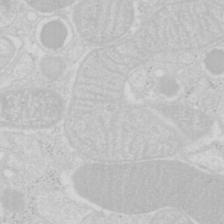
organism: Mouse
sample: Pancreas